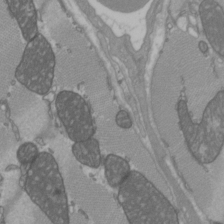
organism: C57BL Mouse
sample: Heart